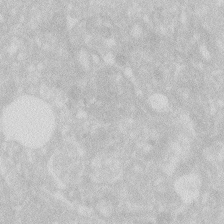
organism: Zebrafish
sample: Macrophage